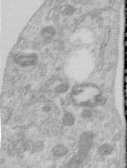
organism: Human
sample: Centriole in RPE cells